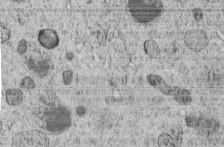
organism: C. elegans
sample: C. elegans embryo early stage